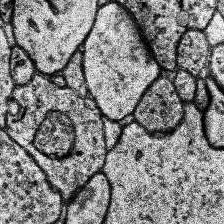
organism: Human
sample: Temporal Lobe